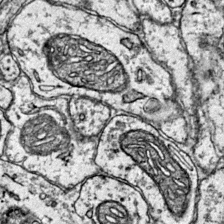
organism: Mouse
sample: Primary visual cortex